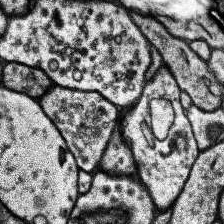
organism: Human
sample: Temporal Lobe